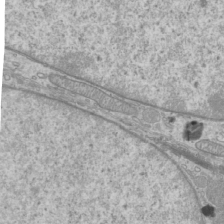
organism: Mouse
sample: Cilia; mouse epididymis